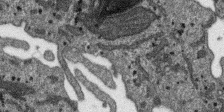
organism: Human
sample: Lung epithelial cells infected with SARS-CoV-2